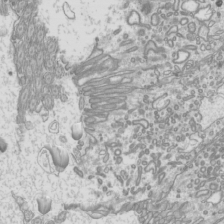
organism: Mouse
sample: Cilia; mouse epididymis